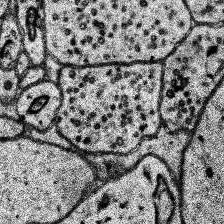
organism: Human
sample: Temporal Lobe